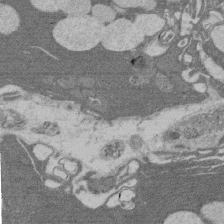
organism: Rat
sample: Salivary granule